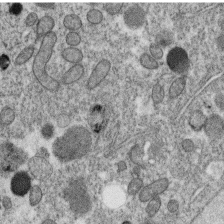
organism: C. elegans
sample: C. elegans oocyte; sperm cells